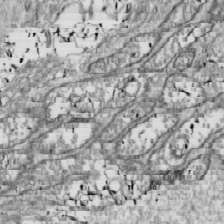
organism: Drosophila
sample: Cell division; meiosis; drosophila spermatocytes